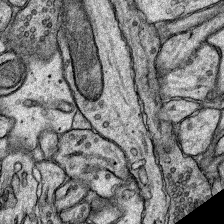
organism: Rat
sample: Hippocampus